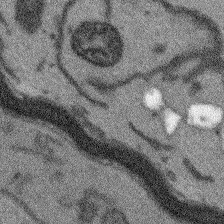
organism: Arabidopsis thaliana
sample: Root tip